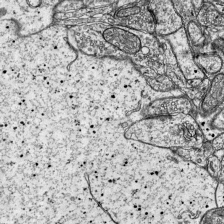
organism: Mouse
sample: Visual Cortex